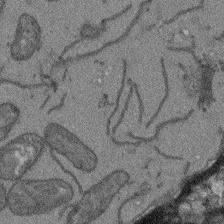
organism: Arabidopsis thaliana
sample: Root tip